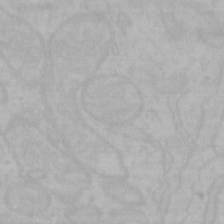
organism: Mouse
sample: Choroid plexus